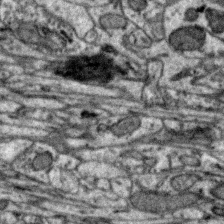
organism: Zebra finch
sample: Brain